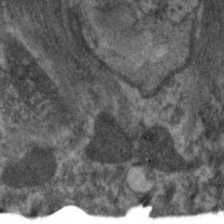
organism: C. elegans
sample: Pharynx